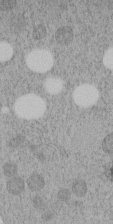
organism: C. elegans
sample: C. elegans embryo early stage